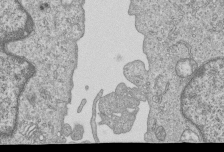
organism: Human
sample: MDA-MB-231 cells